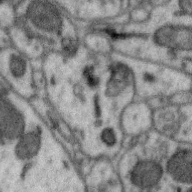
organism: Zebra finch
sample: Brain